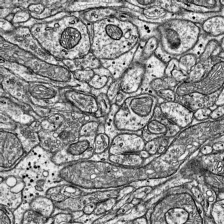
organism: Mouse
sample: Visual Cortex